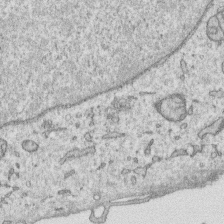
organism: Human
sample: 1205lu cells